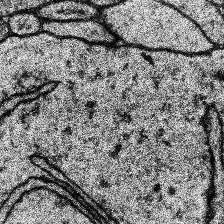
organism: Human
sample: Temporal Lobe